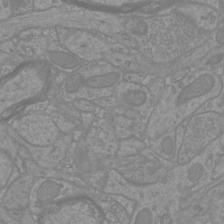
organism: Mouse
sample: Cortical neurons